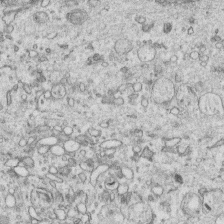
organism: Human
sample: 1205lu cells